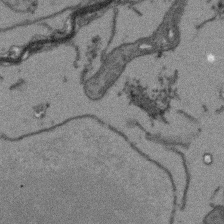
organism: Arabidopsis thaliana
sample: Root tip